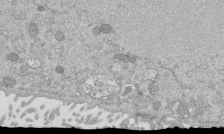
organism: Mouse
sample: ED-1 cell nuclei; centrioles